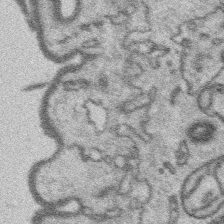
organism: Platynereis dumerilii